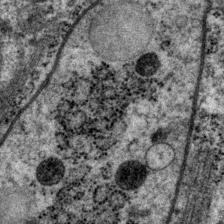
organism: P. pacificus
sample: Pharynx